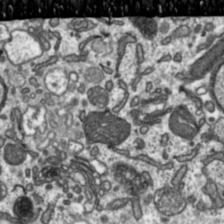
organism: Toxoplasma gondii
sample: Parasites in a vacuole inside a host cell